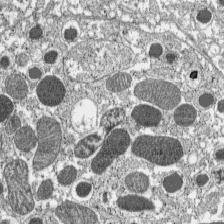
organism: C57BL Mouse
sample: Pancreatic islet